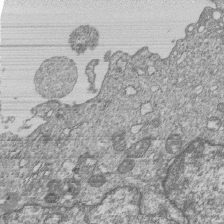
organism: Human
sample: MDA-MB-231 cells